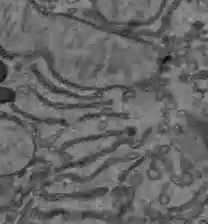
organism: C57BL Mouse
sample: Liver